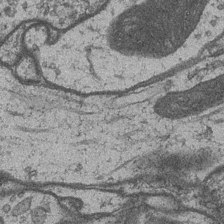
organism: Drosophila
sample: Optic medulla